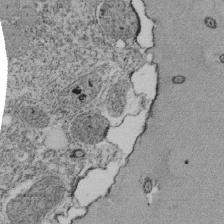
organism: Tetrahymena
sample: Cilia in tetrahymena